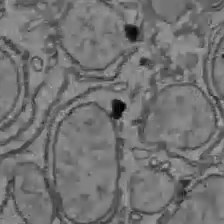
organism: C57BL Mouse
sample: Liver